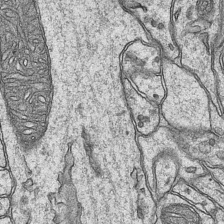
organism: Mouse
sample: CA1 Hippocampus